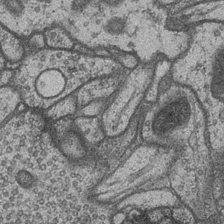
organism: Drosophila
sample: Optic medulla